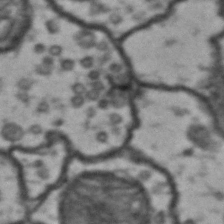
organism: Drosophila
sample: Brain